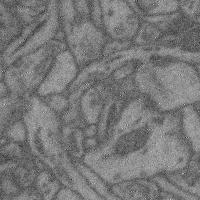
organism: Mouse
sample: Cerebral cortex